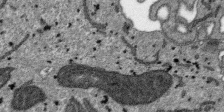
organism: Human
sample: Lung epithelial cells, uninfected (mock) control